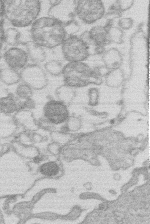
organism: Human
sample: Macrophage cells